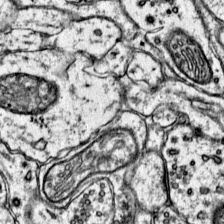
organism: Mouse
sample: Primary visual cortex